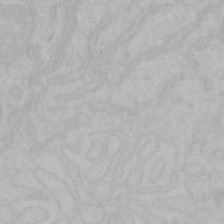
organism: Mouse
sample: Choroid plexus